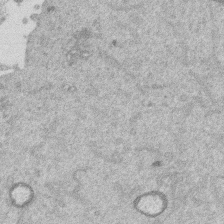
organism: Mouse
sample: Dividing mouse embryo 1 cell stage